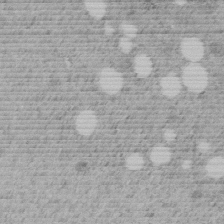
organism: C. elegans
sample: C. elegans embryo early stage